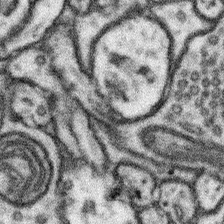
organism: Mouse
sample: Somatosensory cortex neuropil